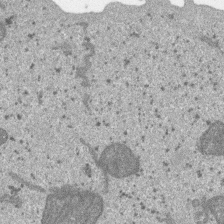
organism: Human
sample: Lung epithelial cells infected with SARS-CoV-2